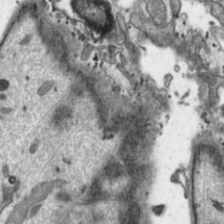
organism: Toxoplasma gondii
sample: Parasites in a vacuole inside a host cell